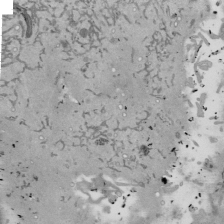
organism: Mouse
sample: ED-1 cell nuclei; centrioles